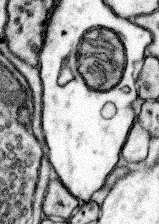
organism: Mouse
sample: Somatosensory cortex neuropil